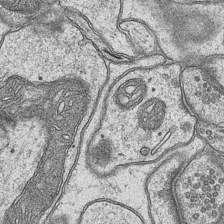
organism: Mouse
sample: CA1 Hippocampus